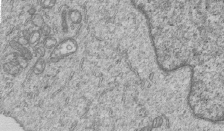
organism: Human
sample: MDA-MB-231 cells